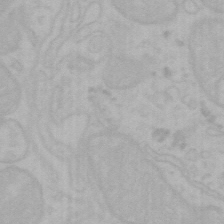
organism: Mouse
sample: Choroid plexus